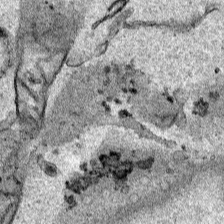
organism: Human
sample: Mitochondria in HCT116 cells